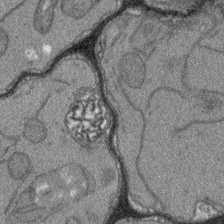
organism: Arabidopsis thaliana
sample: Root tip